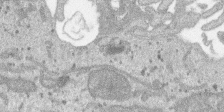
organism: Human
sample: Lung epithelial cells infected with SARS-CoV-2